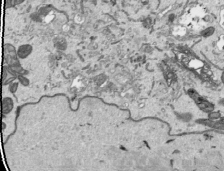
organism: Human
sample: Mitochondria in HCT116 cells